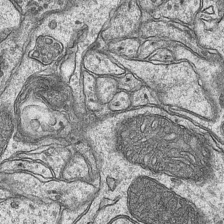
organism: Mouse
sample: CA1 Hippocampus